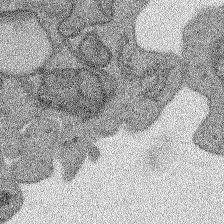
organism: Human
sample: HeLa cells